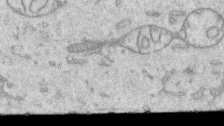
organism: Human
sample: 1205lu cells